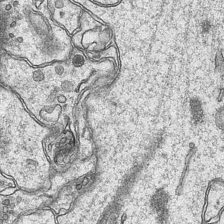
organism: Mouse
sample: CA1 Hippocampus